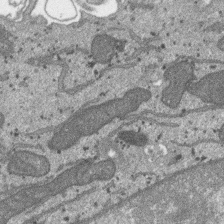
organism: Human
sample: Lung epithelial cells infected with SARS-CoV-2